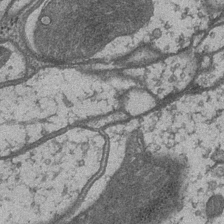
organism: Drosophila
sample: Optic medulla